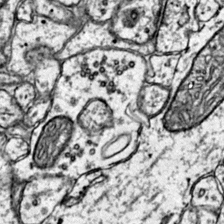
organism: Mouse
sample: Primary visual cortex